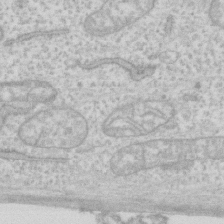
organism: Human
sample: Fibroblast cells